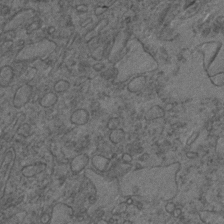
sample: Trachea